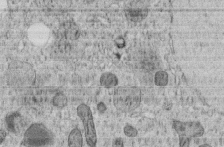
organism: C. elegans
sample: C. elegans embryo early stage